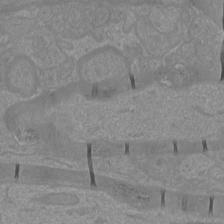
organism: Mouse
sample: Cortical neurons